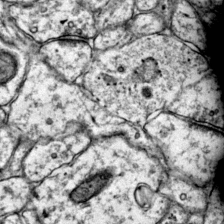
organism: Mouse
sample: Primary visual cortex